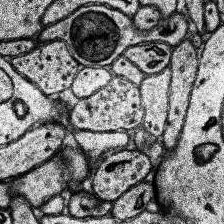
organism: Human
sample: Temporal Lobe